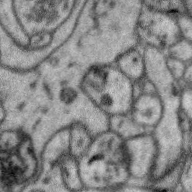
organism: Zebra finch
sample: Brain